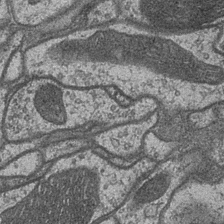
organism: Drosophila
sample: Optic medulla